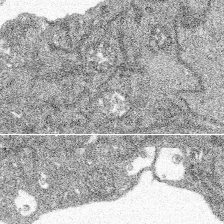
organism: Spongilla lacustris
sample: Multiple